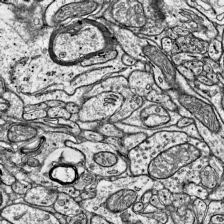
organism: Mouse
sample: Visual Cortex